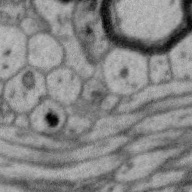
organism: Zebra finch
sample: Brain